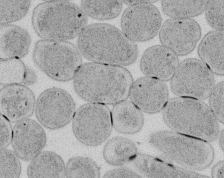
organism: E. coli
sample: Bacterial nucleoid